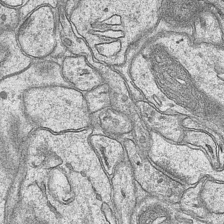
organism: Mouse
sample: CA1 Hippocampus